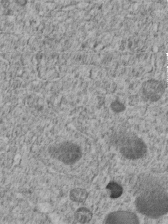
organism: C. elegans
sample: C. elegans embryo early stage